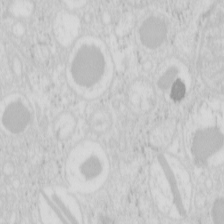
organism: Mouse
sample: Pancreas